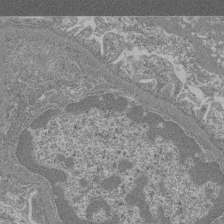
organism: Mouse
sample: Glomerulus